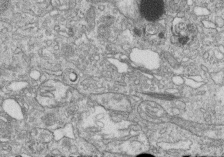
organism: Human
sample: HeLa cell HIV synapse